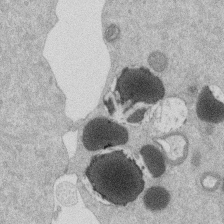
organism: Mouse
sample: Dividing mouse embryo 1 cell stage